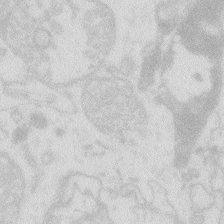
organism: Zebrafish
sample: Macrophage